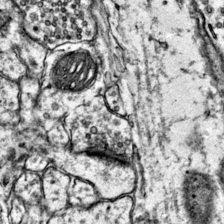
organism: Mouse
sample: Primary visual cortex